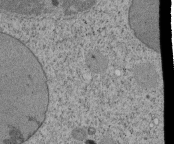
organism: Tetrahymena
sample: Cilia in tetrahymena